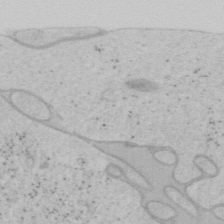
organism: Human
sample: HeLa cells